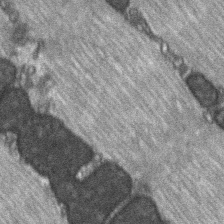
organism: C57BL Mouse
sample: Soleus